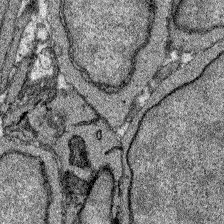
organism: Zebrafish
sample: Larval olfactory bulb